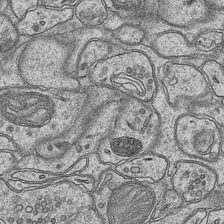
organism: Mouse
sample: CA1 Hippocampus